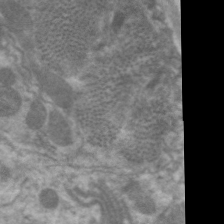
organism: C. elegans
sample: Pharynx